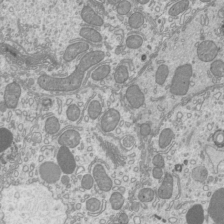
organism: Mouse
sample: Cilia; mouse epididymis